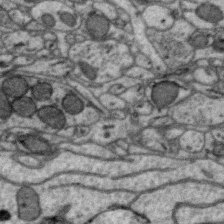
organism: Zebra finch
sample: Brain